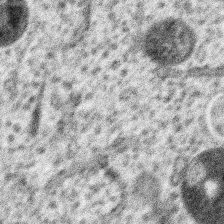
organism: Human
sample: HeLa cells